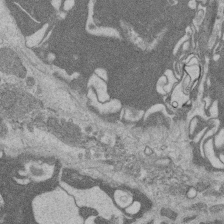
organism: Rat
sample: Salivary granule